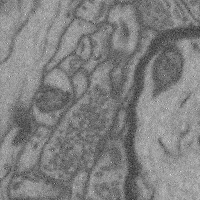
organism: Mouse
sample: Cerebral cortex